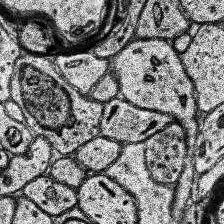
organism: Human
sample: Temporal Lobe